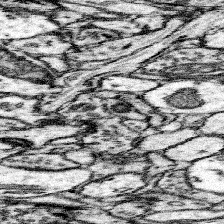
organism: Mouse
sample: Somatosensory cortex neuropil